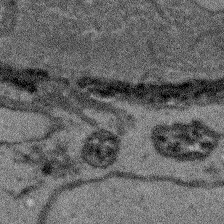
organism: Arabidopsis thaliana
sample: Root tip